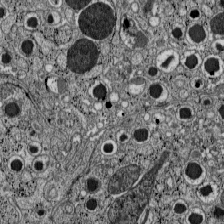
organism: C57BL Mouse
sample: Pancreatic islet